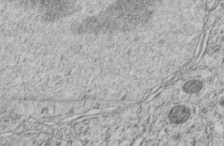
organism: C. elegans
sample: C. elegans embryo early stage